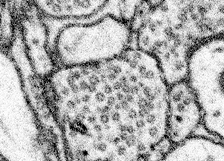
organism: Mouse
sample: Somatosensory cortex neuropil